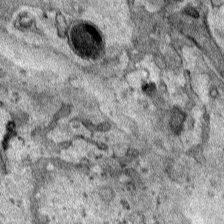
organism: Human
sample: Mitochondria in HCT116 cells